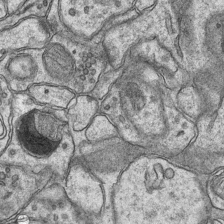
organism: Mouse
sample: CA1 Hippocampus